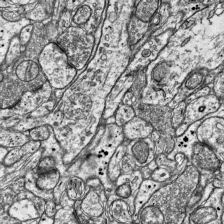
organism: Mouse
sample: Visual Cortex